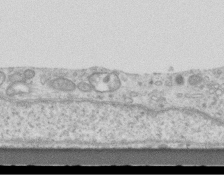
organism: Mouse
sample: Centriole in ependymal cells